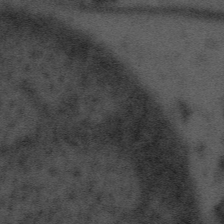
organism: Tuwongella immobilis